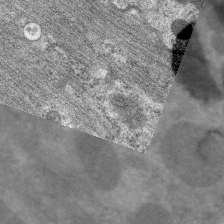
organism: C. elegans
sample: Pharynx